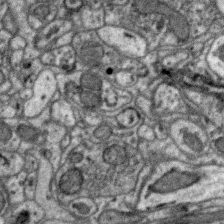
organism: Zebra finch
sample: Brain